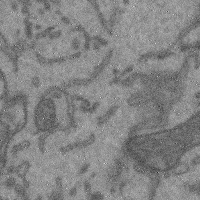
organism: Mouse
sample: Cerebral cortex